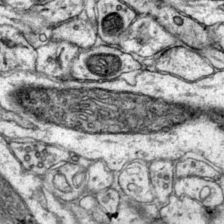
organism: Mouse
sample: Primary visual cortex